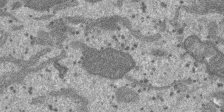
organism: Human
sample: Lung epithelial cells infected with SARS-CoV-2